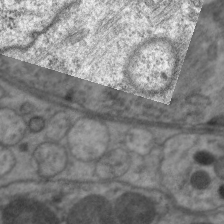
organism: C. elegans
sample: Pharynx